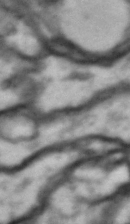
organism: Drosophila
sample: Brain